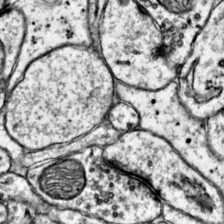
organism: Mouse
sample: Primary visual cortex